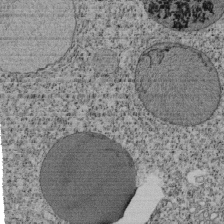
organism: Tetrahymena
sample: Cilia in tetrahymena